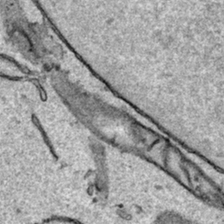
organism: Human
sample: Mitochondria in HCT116 cells